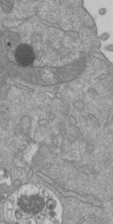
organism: Mouse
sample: ED-1 cell nuclei; centrioles